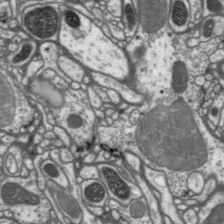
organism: Drosophila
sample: Protocerebral bridge